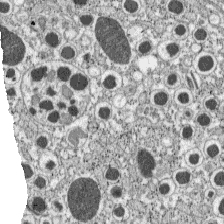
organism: C57BL Mouse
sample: Pancreatic islet